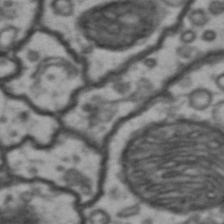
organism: Drosophila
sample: Brain